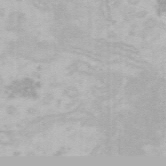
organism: Mouse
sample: Choroid plexus